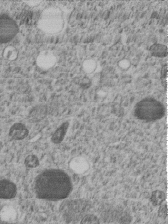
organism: C. elegans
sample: C. elegans embryo early stage